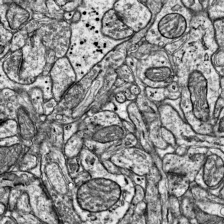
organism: Mouse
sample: Visual Cortex